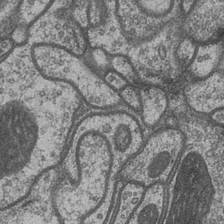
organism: Drosophila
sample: Optic medulla